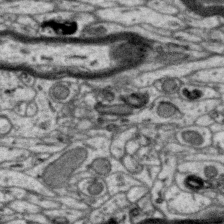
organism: Zebra finch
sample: Brain